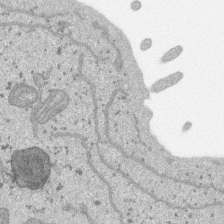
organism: Human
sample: Lung epithelial cells infected with SARS-CoV-2